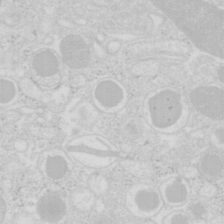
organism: Mouse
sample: Pancreas